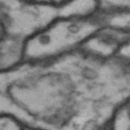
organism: Drosophila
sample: Brain